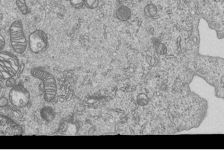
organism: Human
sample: MDA-MB-231 cells